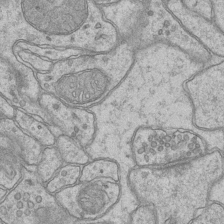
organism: Mouse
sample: CA1 Hippocampus